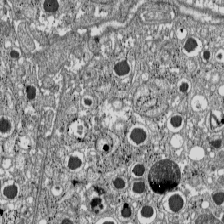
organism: C57BL Mouse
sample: Pancreatic islet